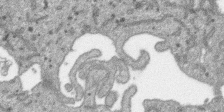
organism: Human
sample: Lung epithelial cells infected with SARS-CoV-2